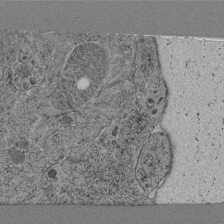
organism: C. elegans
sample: C. elegans pharynx